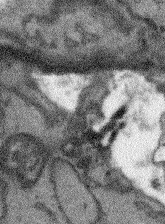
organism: Arabidopsis thaliana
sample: Root tip